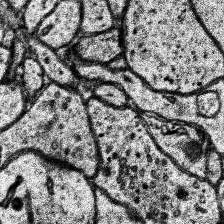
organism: Human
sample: Temporal Lobe